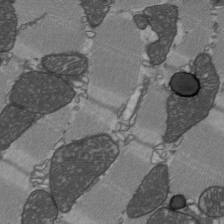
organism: C57BL Mouse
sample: Heart